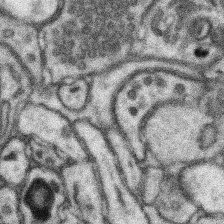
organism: Mouse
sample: Somatosensory cortex neuropil